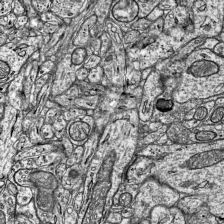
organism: Mouse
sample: Visual Cortex